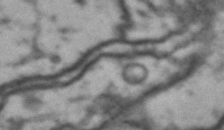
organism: Drosophila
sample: Brain